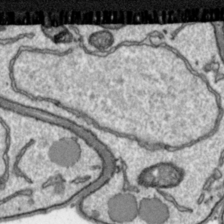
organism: Toxoplasma gondii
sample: Parasites in a vacuole inside a host cell